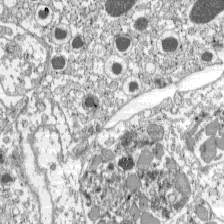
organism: C57BL Mouse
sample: Pancreatic islet